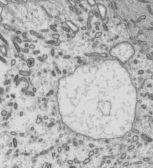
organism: Mouse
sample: Mouse epididymis efferent ductule cilia